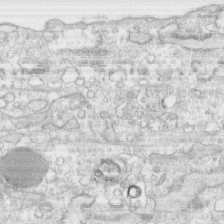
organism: Human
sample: CRL-1474